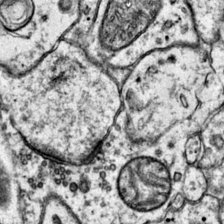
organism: Mouse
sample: Primary visual cortex